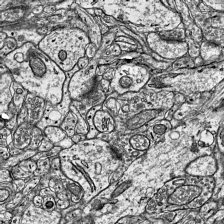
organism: Mouse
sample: Visual Cortex